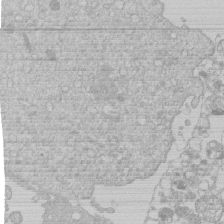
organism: Human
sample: Macrophage cells